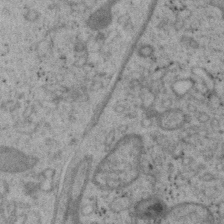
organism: Human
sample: HeLa cells